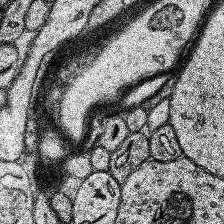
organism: Human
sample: Temporal Lobe